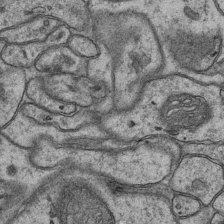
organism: Mouse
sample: CA1 Hippocampus